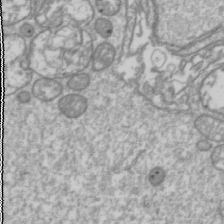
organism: Drosophila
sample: Cell division; meiosis; drosophila spermatocytes